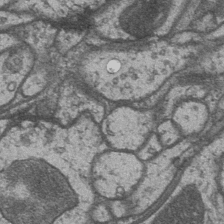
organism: Drosophila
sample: Optic medulla